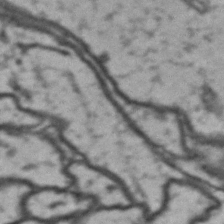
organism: Drosophila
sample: Brain